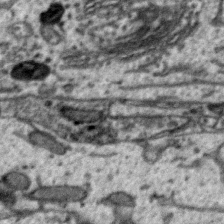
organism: Zebra finch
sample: Brain